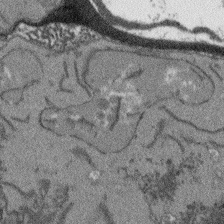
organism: Arabidopsis thaliana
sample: Root tip